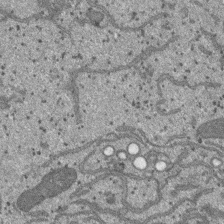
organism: Human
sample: Lung epithelial cells infected with SARS-CoV-2